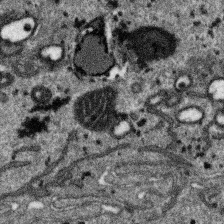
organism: Human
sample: Lung epithelial cells infected with SARS-CoV-2